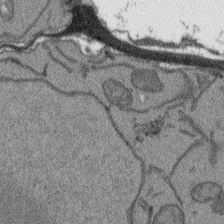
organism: Arabidopsis thaliana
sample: Root tip